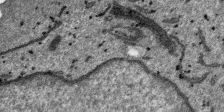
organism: Human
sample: Lung epithelial cells, uninfected (mock) control